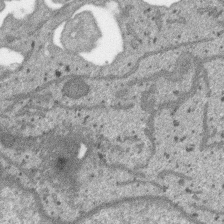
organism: Human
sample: Lung epithelial cells infected with SARS-CoV-2